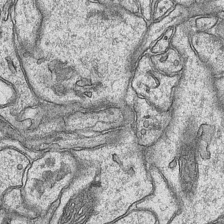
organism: Mouse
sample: CA1 Hippocampus